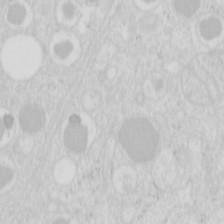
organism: Mouse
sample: Pancreas